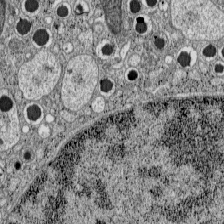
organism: C57BL Mouse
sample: Pancreatic islet